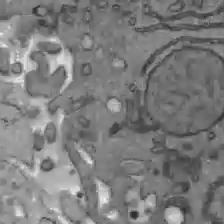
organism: C57BL Mouse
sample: Liver